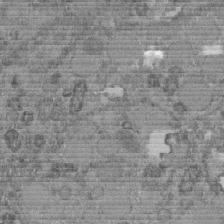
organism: C. elegans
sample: C. elegans embryo early stage